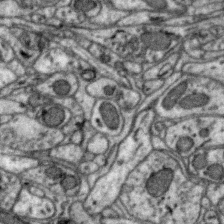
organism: Zebra finch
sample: Brain